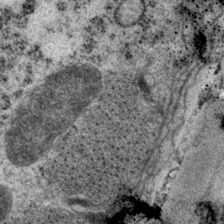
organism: P. pacificus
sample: Pharynx